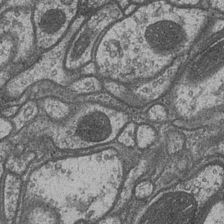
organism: Drosophila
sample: Optic medulla